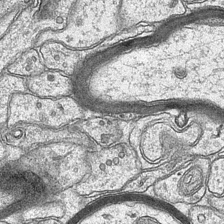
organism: Mouse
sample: CA1 Hippocampus